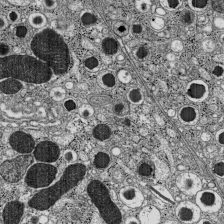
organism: C57BL Mouse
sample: Pancreatic islet